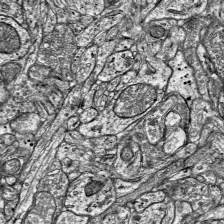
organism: Mouse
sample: Visual Cortex